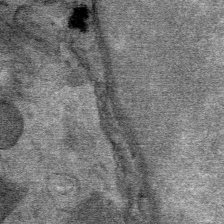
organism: Mouse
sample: Mouse Salivary gland